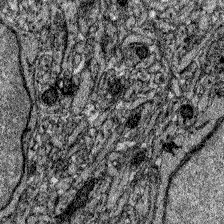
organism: Zebrafish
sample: Larval olfactory bulb